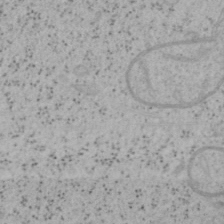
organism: Human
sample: HeLa cells